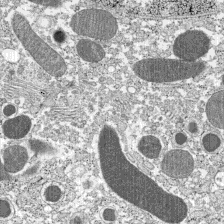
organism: C57BL Mouse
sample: Pancreatic islet